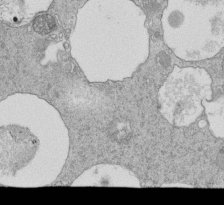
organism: Tetrahymena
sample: Cilia in tetrahymena